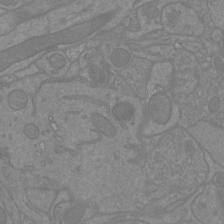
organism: Mouse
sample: Cortical neurons